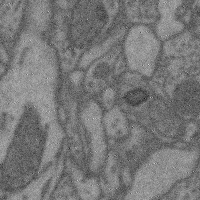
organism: Mouse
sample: Cerebral cortex